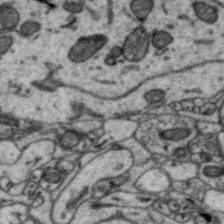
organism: Zebra finch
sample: Brain